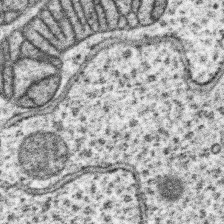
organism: Human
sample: HeLa cells